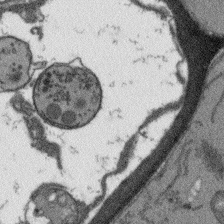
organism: Arabidopsis thaliana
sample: Root tip